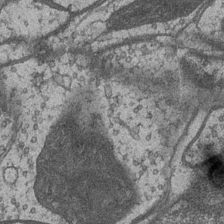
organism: Drosophila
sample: Optic medulla